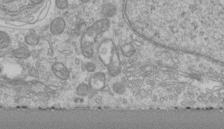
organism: Human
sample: Centriole in RPE cells